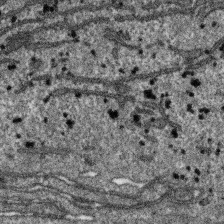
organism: Human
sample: Lung epithelial cells infected with SARS-CoV-2